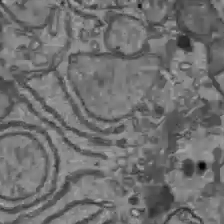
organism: C57BL Mouse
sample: Liver